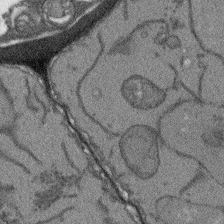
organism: Arabidopsis thaliana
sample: Root tip